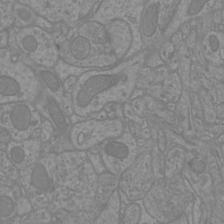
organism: Mouse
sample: Cortical neurons